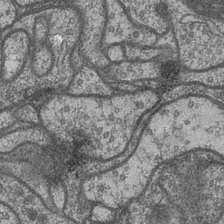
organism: Drosophila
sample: Optic medulla